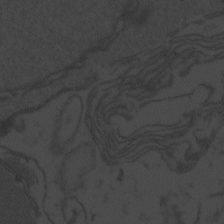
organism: Zebrafish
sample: Macrophage infected with Toxoplasma gondii